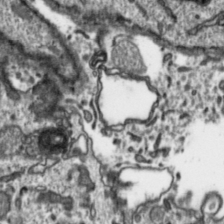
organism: Toxoplasma gondii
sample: Parasites in a vacuole inside a host cell